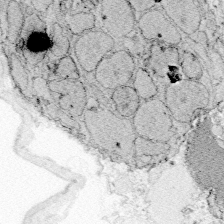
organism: Zebrafish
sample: Whole-Brain